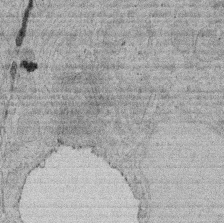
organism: Rat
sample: Salivary granule